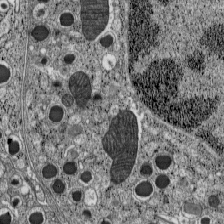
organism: C57BL Mouse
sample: Pancreatic islet